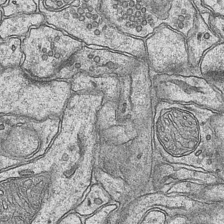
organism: Mouse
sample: CA1 Hippocampus